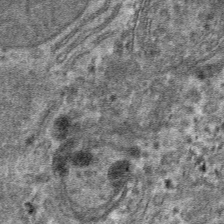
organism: Mouse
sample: Mouse hepatocytes